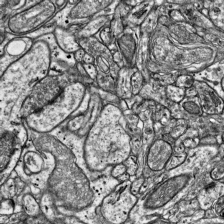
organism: Mouse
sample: Visual Cortex